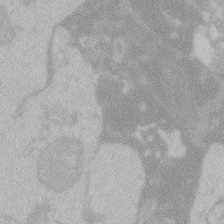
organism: Zebrafish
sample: Macrophage infected with Toxoplasma gondii